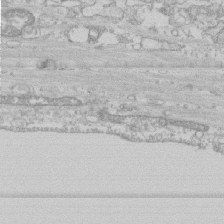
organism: Human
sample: CRL-1474